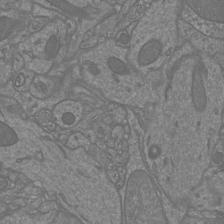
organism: Mouse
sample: Cortical neurons